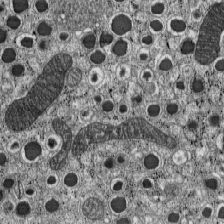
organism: C57BL Mouse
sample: Pancreatic islet